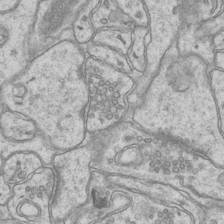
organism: Mouse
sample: CA1 Hippocampus